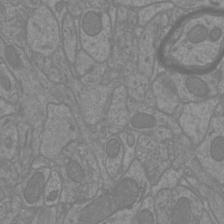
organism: Mouse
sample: Cortical neurons